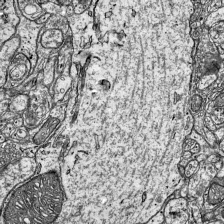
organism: Mouse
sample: Visual Cortex